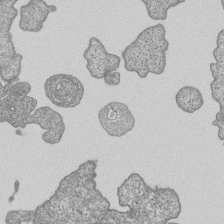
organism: Human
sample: MDA-MB-231 cells